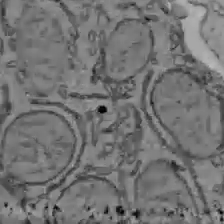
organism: C57BL Mouse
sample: Liver